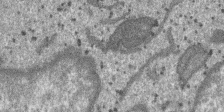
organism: Human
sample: Lung epithelial cells infected with SARS-CoV-2